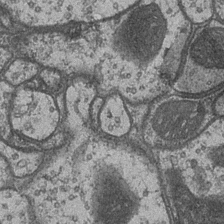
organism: Drosophila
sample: Optic medulla